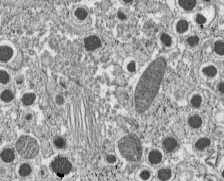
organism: C57BL Mouse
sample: Pancreatic islet